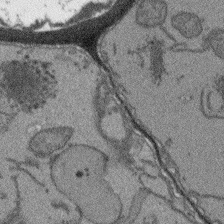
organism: Arabidopsis thaliana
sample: Root tip